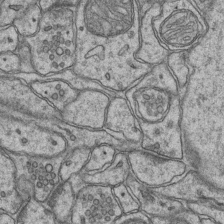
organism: Mouse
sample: CA1 Hippocampus